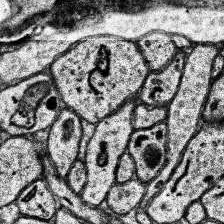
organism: Human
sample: Temporal Lobe